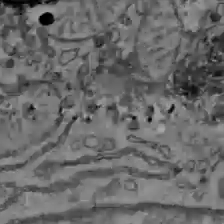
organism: C57BL Mouse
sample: Liver